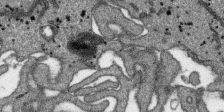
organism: Human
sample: Lung epithelial cells, uninfected (mock) control